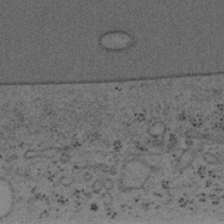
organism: Human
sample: HeLa cells